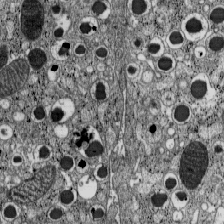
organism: C57BL Mouse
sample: Pancreatic islet